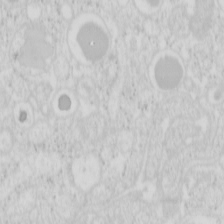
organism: Mouse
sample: Pancreas